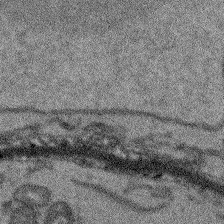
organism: Arabidopsis thaliana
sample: Root tip